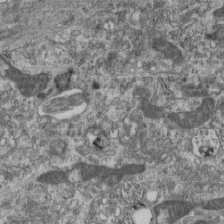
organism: Mouse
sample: Centriole in ependymal cells